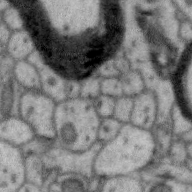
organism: Zebra finch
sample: Brain